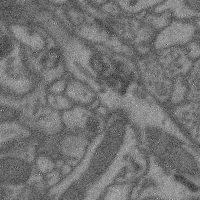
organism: Mouse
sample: Cerebral cortex